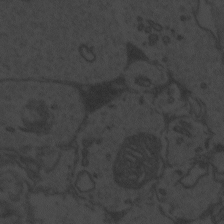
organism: Zebrafish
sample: Macrophage infected with Toxoplasma gondii